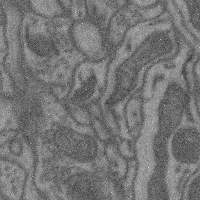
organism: Mouse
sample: Cerebral cortex